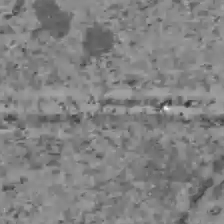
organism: C57BL Mouse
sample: Liver